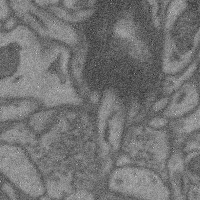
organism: Mouse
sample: Cerebral cortex